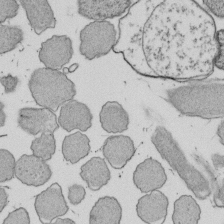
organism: E. coli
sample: Bacterial nucleoid